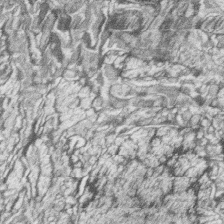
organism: Zebrafish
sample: synaptic ribbons in rod cells and cone cells